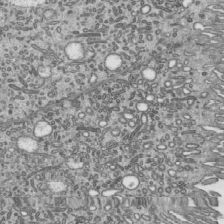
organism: Mouse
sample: Mouse epididymis efferent ductule cilia